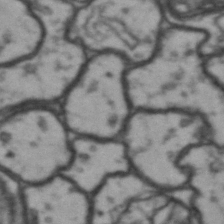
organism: Drosophila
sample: Brain